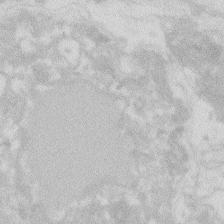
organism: Zebrafish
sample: Macrophage